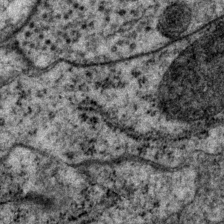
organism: P. pacificus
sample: Pharynx